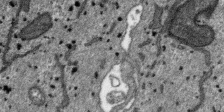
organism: Human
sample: Lung epithelial cells, uninfected (mock) control